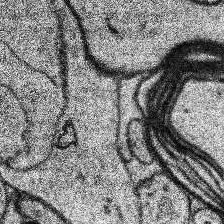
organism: Human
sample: Temporal Lobe